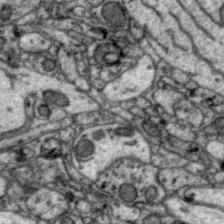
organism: Zebra finch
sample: Brain